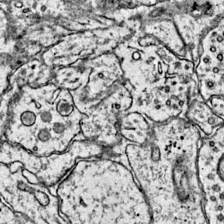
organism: Mouse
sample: Primary visual cortex